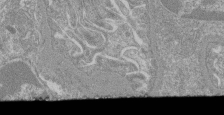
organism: Mouse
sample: Glomerulus